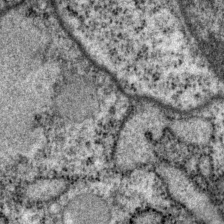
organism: P. pacificus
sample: Pharynx